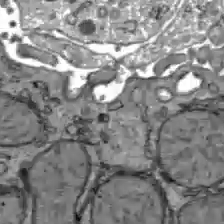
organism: C57BL Mouse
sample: Liver